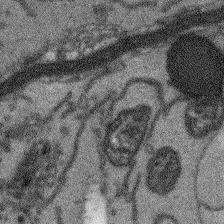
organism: Arabidopsis thaliana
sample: Root tip